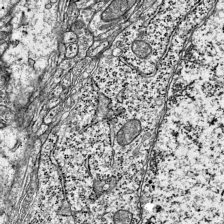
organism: Mouse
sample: Visual Cortex